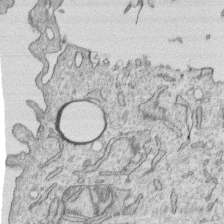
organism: Human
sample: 1205lu cells